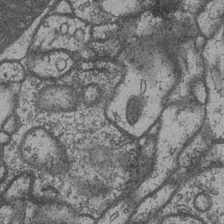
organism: Drosophila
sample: Optic medulla